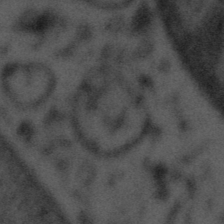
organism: Tuwongella immobilis